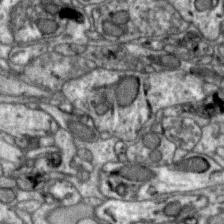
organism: Zebra finch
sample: Brain